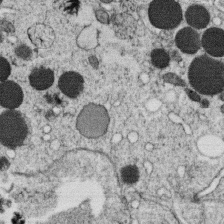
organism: C. elegans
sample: C. elegans oocyte; sperm cells